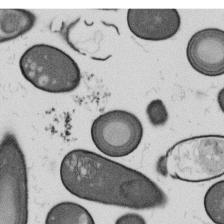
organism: B. subtilis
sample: Bacterial spore